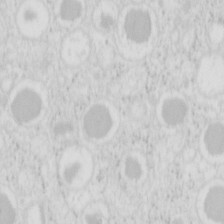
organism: Mouse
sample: Pancreas